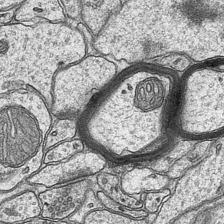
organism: Mouse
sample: CA1 Hippocampus